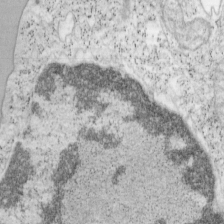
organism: Mouse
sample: OT-I killer T cells with ID8 ovarian cancer cells